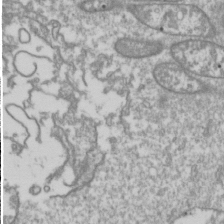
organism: Drosophila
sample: Cell division; meiosis; drosophila spermatocytes